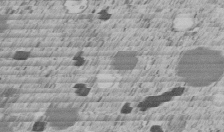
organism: C. elegans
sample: C. elegans embryo early stage